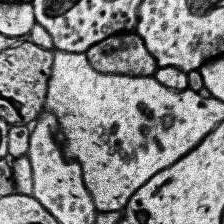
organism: Human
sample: Temporal Lobe